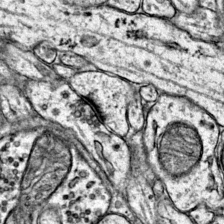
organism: Mouse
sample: Primary visual cortex